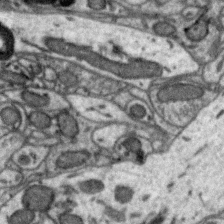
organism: Zebra finch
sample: Brain